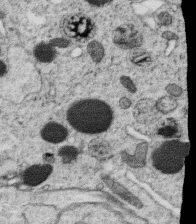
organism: C. elegans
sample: C. elegans oocyte; sperm cells